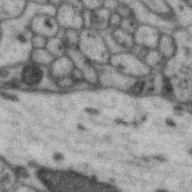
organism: Zebra finch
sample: Brain